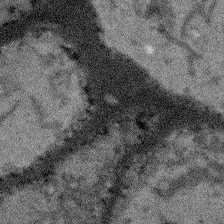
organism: Arabidopsis thaliana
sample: Root tip